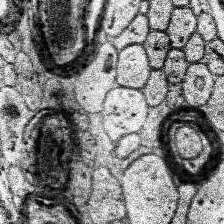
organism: Human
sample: Temporal Lobe